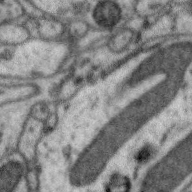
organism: Zebra finch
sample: Brain